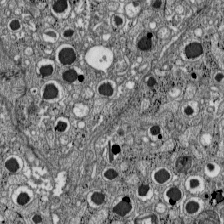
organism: C57BL Mouse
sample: Pancreatic islet